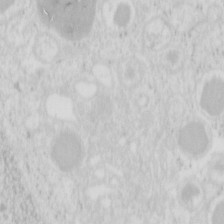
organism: Mouse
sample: Pancreas